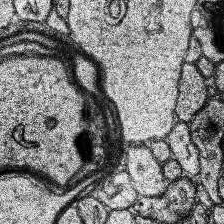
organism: Human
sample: Temporal Lobe